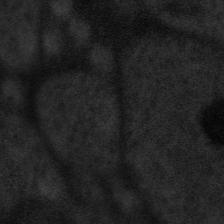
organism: Tuwongella immobilis